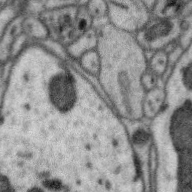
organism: Zebra finch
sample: Brain